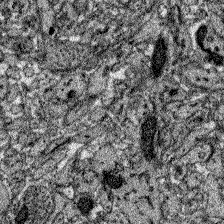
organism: Zebrafish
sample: Larval olfactory bulb